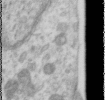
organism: Human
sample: Cilia; basal body in RPE cells